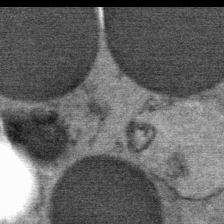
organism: Mouse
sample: Mouse Salivary gland